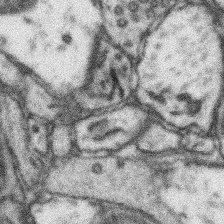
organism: Mouse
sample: Somatosensory cortex neuropil